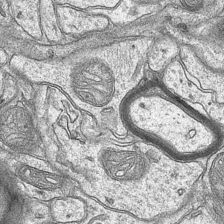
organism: Mouse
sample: CA1 Hippocampus